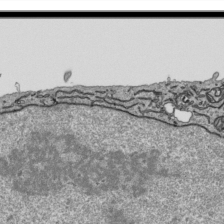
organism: Human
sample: Mitochondria in HCT116 cells